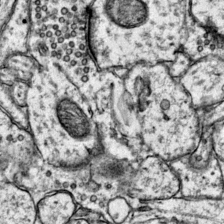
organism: Mouse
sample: Primary visual cortex